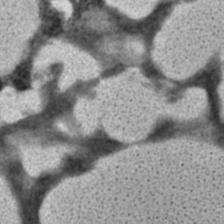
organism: C. elegans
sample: C. elegans embryo